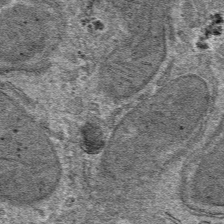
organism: Mouse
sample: Mouse hepatocytes